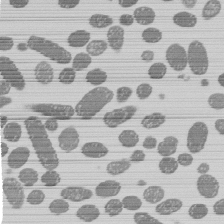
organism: E. coli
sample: Bacterial nucleoid